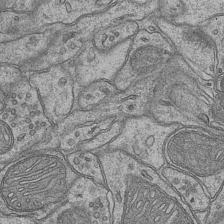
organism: Mouse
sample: CA1 Hippocampus